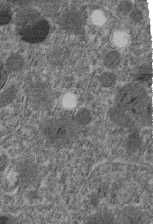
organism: C. elegans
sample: C. elegans embryo early stage